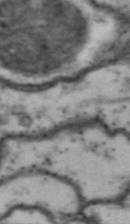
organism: Drosophila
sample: Brain